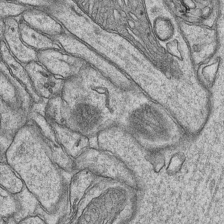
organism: Mouse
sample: CA1 Hippocampus